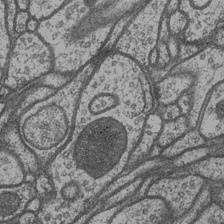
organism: Drosophila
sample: Optic medulla